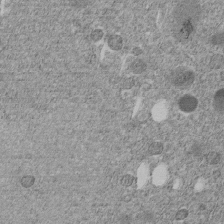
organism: C. elegans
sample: C. elegans embryo early stage